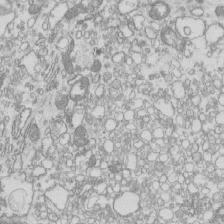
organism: Mouse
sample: Macrophages